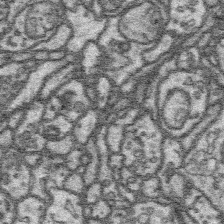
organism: Platynereis dumerilii